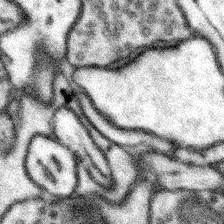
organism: Mouse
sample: Somatosensory cortex neuropil